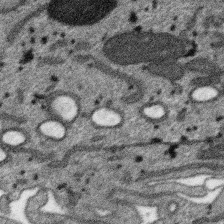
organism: Human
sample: Lung epithelial cells infected with SARS-CoV-2